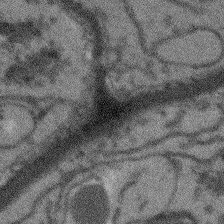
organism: Arabidopsis thaliana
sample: Root tip